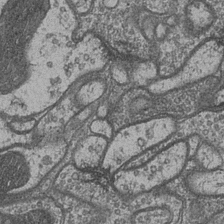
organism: Drosophila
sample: Optic medulla